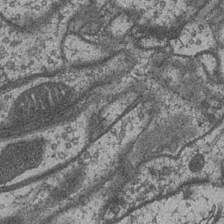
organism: Drosophila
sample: Optic medulla